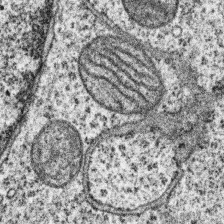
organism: Human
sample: HeLa cells